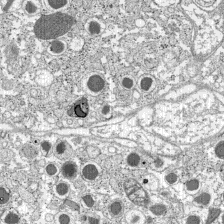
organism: C57BL Mouse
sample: Pancreatic islet